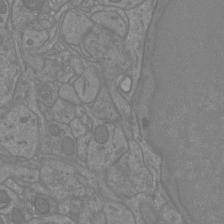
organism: Mouse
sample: Cortical neurons